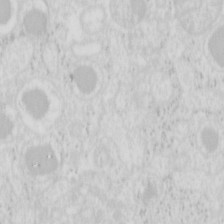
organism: Mouse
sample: Pancreas